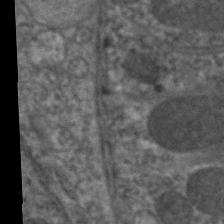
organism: C. elegans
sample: Pharynx